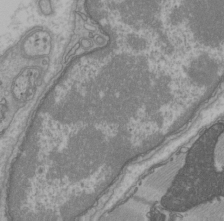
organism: C57BL Mouse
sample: Heart